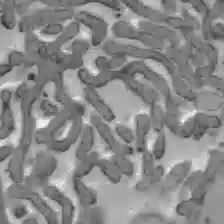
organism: C57BL Mouse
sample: Liver